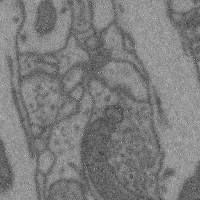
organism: Mouse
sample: Cerebral cortex